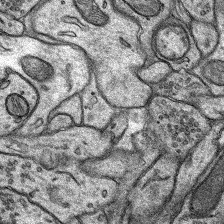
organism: Rat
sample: Hippocampus